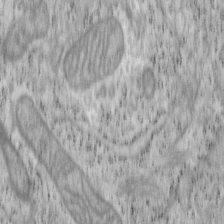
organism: Human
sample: HeLa cells